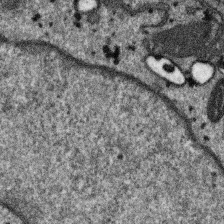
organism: Human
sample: Lung epithelial cells infected with SARS-CoV-2